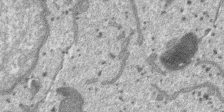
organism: Human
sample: Lung epithelial cells infected with SARS-CoV-2